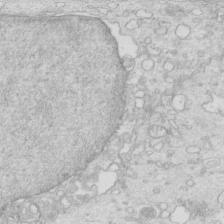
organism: Mouse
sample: Multiciliated cells